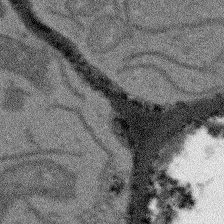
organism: Arabidopsis thaliana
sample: Root tip